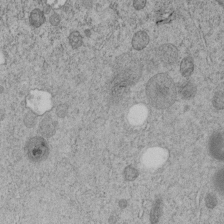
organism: C. elegans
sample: C. elegans embryo early stage